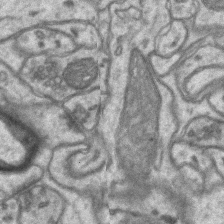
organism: Mouse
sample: CA1 Hippocampus